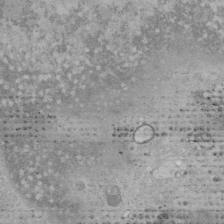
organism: Human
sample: Mitochondria in HCT116 cells